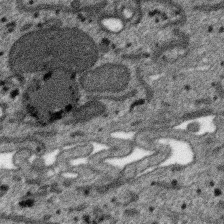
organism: Human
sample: Lung epithelial cells infected with SARS-CoV-2